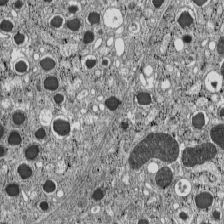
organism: C57BL Mouse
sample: Pancreatic islet